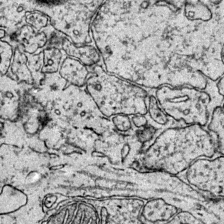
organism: Mouse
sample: Primary visual cortex